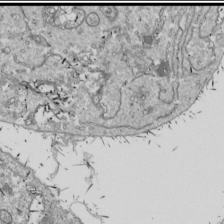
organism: Drosophila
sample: Cell division; meiosis; drosophila spermatocytes